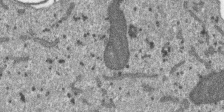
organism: Human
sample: Lung epithelial cells infected with SARS-CoV-2